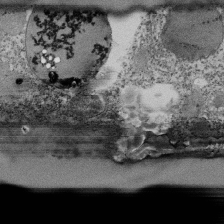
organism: Tetrahymena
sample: Cilia in tetrahymena